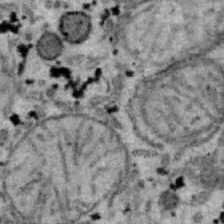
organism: Mouse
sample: Liver from an obese (ob/ob) mouse